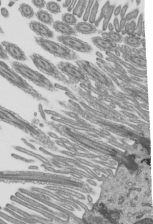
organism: Mouse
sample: Mouse epididymis efferent ductule cilia